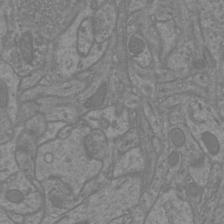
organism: Mouse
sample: Cortical neurons